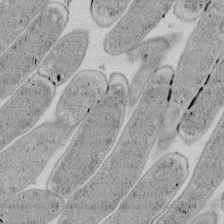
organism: E. coli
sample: Bacterial nucleoid